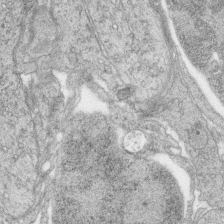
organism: Zebrafish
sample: synaptic ribbons in rod cells and cone cells